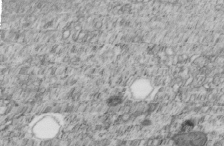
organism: C. elegans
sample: C. elegans embryo early stage